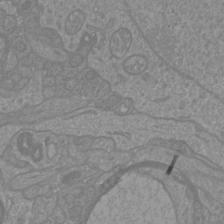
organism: Mouse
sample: Cortical neurons